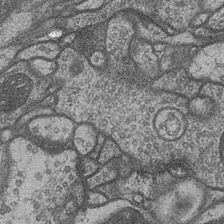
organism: Drosophila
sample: Optic medulla